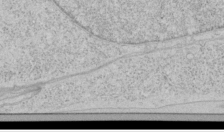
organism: Human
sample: Mitochondria in HCT116 cells